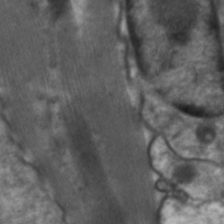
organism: C. elegans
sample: Pharynx